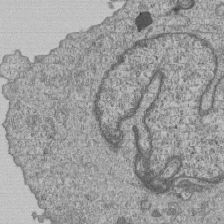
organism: Human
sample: MDA-MB-231 cells